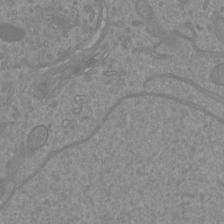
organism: Mouse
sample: Cortical neurons